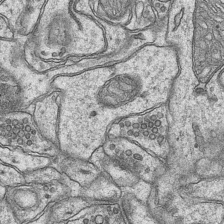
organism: Mouse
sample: CA1 Hippocampus